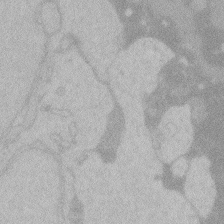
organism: Zebrafish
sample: Macrophage infected with Toxoplasma gondii